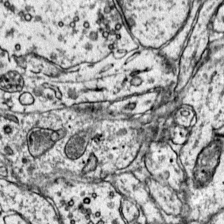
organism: Mouse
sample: Primary visual cortex